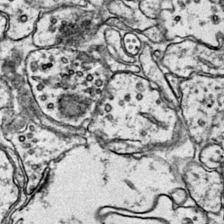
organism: Mouse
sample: Primary visual cortex